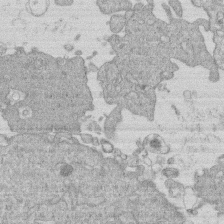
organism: Human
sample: Macrophage cells